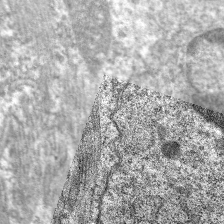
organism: C. elegans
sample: Pharynx